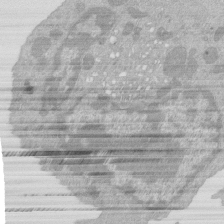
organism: Mouse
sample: Activated Pmel transgenic CD8+ T Cells